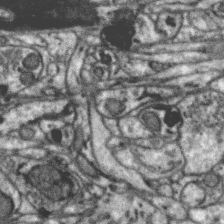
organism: Zebra finch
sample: Brain